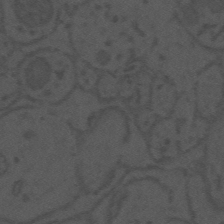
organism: Mouse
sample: Suprachiasmatic nucleus